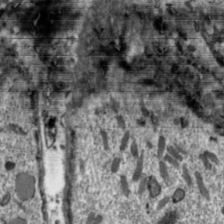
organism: Toxoplasma gondii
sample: Parasites in a vacuole inside a host cell